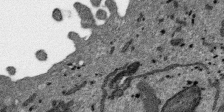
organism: Human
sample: Lung epithelial cells, uninfected (mock) control